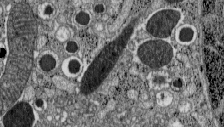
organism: C57BL Mouse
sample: Pancreatic islet